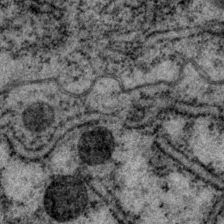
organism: P. pacificus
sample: Pharynx